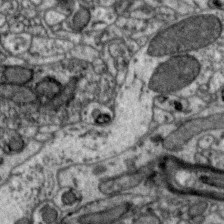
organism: Zebra finch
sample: Brain